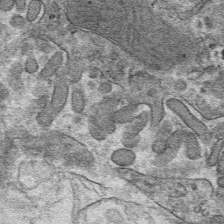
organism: Mouse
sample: Mouse hepatocytes